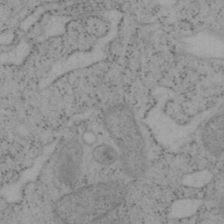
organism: Mouse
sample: OT-I killer T cells with ID8 ovarian cancer cells